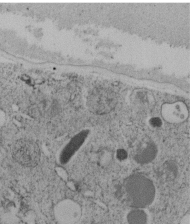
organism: C. elegans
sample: C. elegans embryo early stage